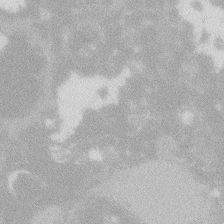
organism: Zebrafish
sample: Macrophage